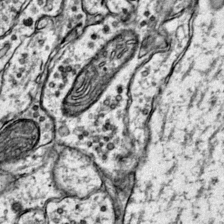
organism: Mouse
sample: Primary visual cortex